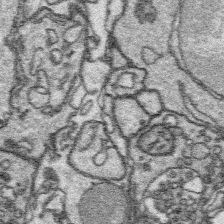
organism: Platynereis dumerilii